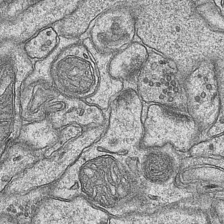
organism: Mouse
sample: CA1 Hippocampus